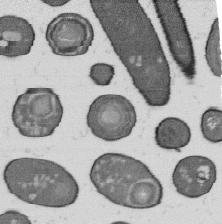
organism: B. subtilis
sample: Bacterial spore